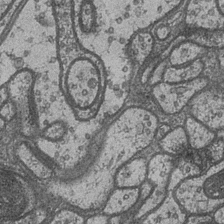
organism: Drosophila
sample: Optic medulla